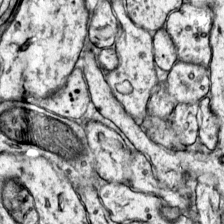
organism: Mouse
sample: Primary visual cortex